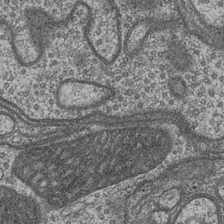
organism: Drosophila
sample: Optic medulla